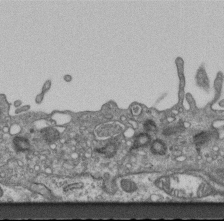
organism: Mouse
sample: Centriole in ependymal cells